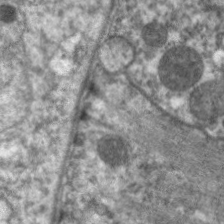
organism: C. elegans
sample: Pharynx